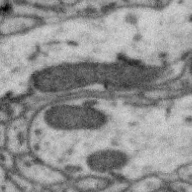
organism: Zebra finch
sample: Brain